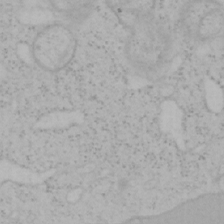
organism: Mouse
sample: OT-I killer T cells with ID8 ovarian cancer cells